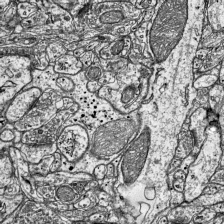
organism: Mouse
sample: Visual Cortex